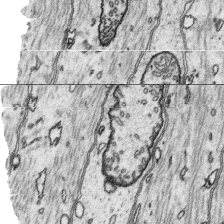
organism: Platynereis dumerilii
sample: Parapodia